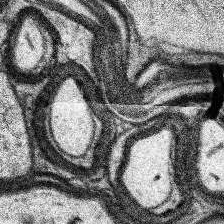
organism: Human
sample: Temporal Lobe